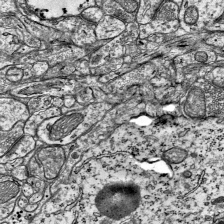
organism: Mouse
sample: Visual Cortex